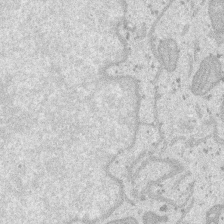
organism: Human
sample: Lung epithelial cells infected with SARS-CoV-2